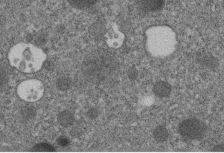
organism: C. elegans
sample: C. elegans embryo early stage